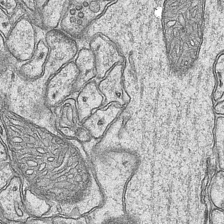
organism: Mouse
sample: CA1 Hippocampus